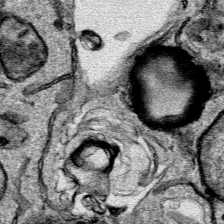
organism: Human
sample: Mitochondria in HCT116 cells